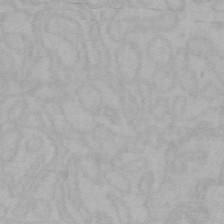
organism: Mouse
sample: Choroid plexus